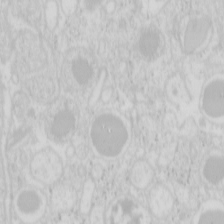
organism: Mouse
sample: Pancreas